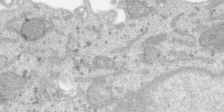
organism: Human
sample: Lung epithelial cells infected with SARS-CoV-2